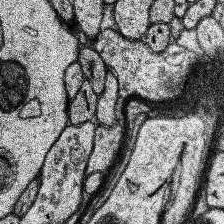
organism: Human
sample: Temporal Lobe